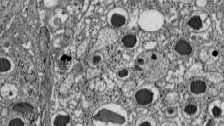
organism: C57BL Mouse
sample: Pancreatic islet